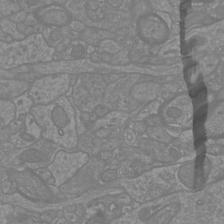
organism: Mouse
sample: Cortical neurons